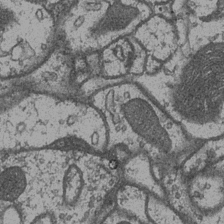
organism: Drosophila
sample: Optic medulla